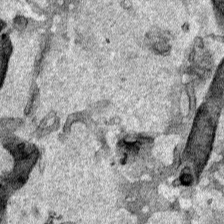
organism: Human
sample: Mitochondria in HCT116 cells